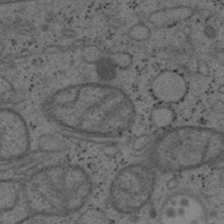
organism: Human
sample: HeLa cells